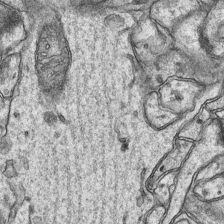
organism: Mouse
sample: CA1 Hippocampus